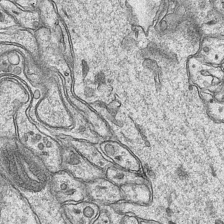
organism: Mouse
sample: CA1 Hippocampus